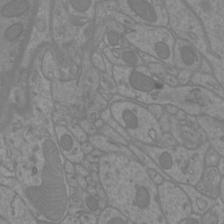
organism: Mouse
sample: Cortical neurons